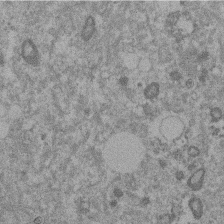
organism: Mouse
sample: Dividing mouse embryo 1 cell stage